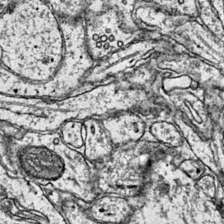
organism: Mouse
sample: Primary visual cortex